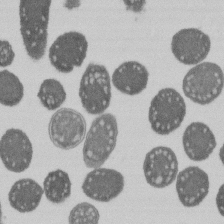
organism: E. coli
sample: Bacterial nucleoid